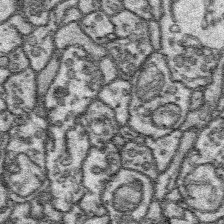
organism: Platynereis dumerilii